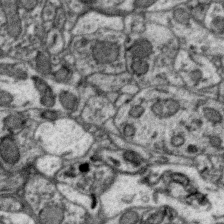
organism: Zebra finch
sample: Brain